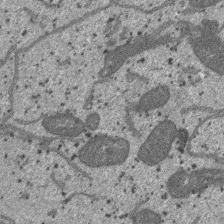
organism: Human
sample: Lung epithelial cells infected with SARS-CoV-2